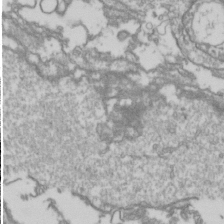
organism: Drosophila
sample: Cell division; meiosis; drosophila spermatocytes